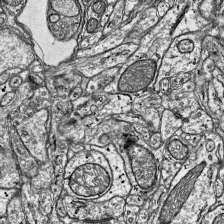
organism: Mouse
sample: Visual Cortex